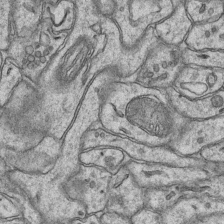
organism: Mouse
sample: CA1 Hippocampus